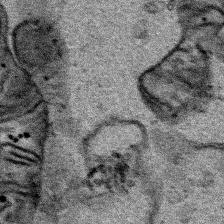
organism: Human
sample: Mitochondria in HCT116 cells